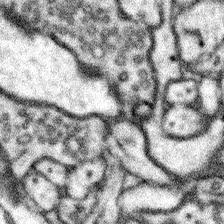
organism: Mouse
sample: Somatosensory cortex neuropil